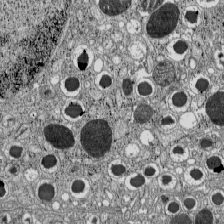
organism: C57BL Mouse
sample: Pancreatic islet